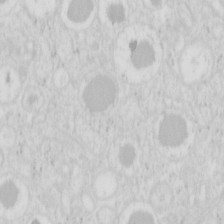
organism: Mouse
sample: Pancreas